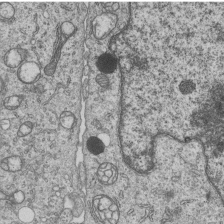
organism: Human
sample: MDA-MB-231 cells